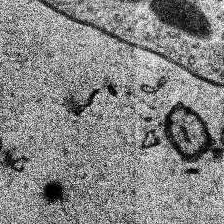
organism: Human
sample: Temporal Lobe